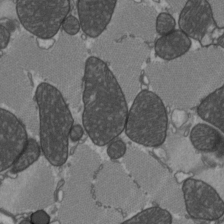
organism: C57BL Mouse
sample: Heart